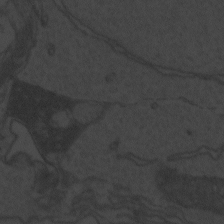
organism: Zebrafish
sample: Macrophage infected with Toxoplasma gondii